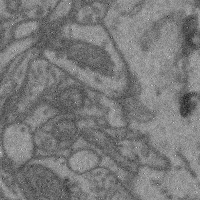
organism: Mouse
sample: Cerebral cortex